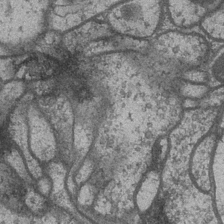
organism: Drosophila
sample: Optic medulla